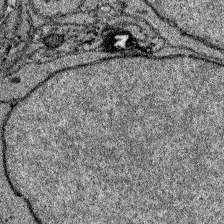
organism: Zebrafish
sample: Larval olfactory bulb